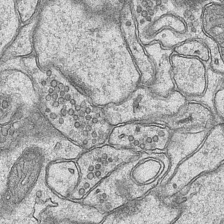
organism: Mouse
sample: CA1 Hippocampus